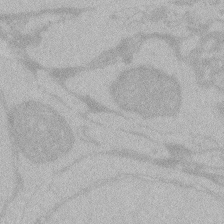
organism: Zebrafish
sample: Macrophage infected with Toxoplasma gondii